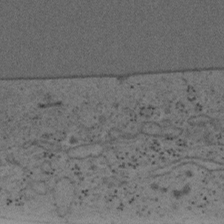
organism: Human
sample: HeLa cells